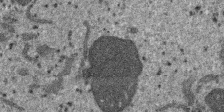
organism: Human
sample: Lung epithelial cells infected with SARS-CoV-2